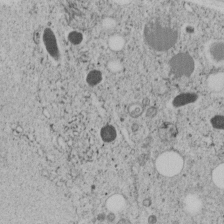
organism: C. elegans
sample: C. elegans embryo early stage